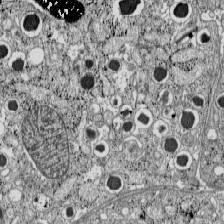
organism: C57BL Mouse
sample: Pancreatic islet